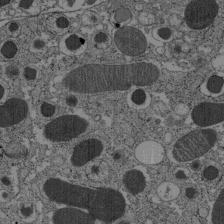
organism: C57BL Mouse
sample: Pancreatic islet